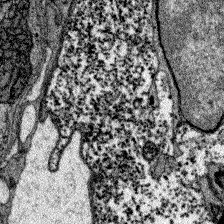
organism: Zebrafish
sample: Larval olfactory bulb